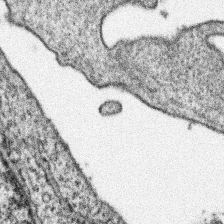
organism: Human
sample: HeLa cells